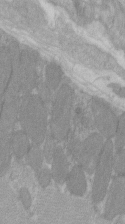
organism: C57BL Mouse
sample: Tibialis anterior muscle cell